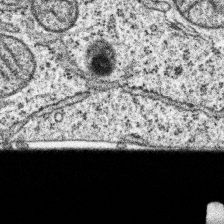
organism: Human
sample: HeLa cells